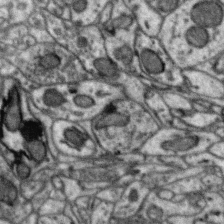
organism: Zebra finch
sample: Brain